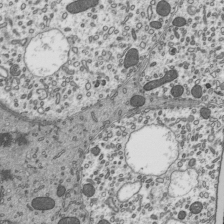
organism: Mouse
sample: Mouse epididymis efferent ductule cilia